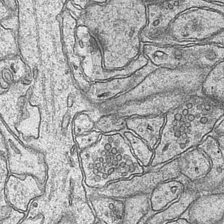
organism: Mouse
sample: CA1 Hippocampus